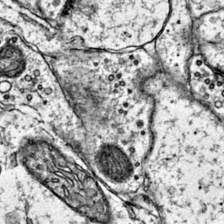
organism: Mouse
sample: Primary visual cortex